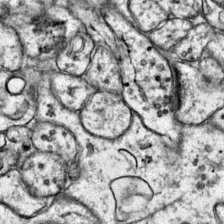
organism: Mouse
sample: Primary visual cortex